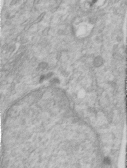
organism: Human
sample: Centriole in RPE cells